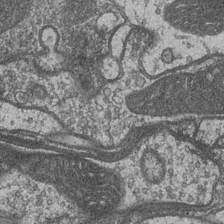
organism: Drosophila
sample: Optic medulla